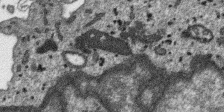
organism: Human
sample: Lung epithelial cells infected with SARS-CoV-2